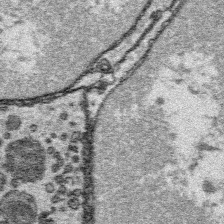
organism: Platynereis dumerilii